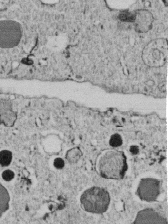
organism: C. elegans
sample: C. elegans embryo early stage